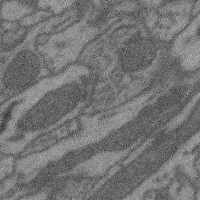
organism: Mouse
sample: Cerebral cortex